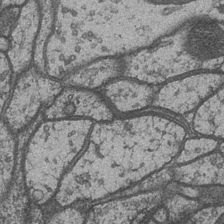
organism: Drosophila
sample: Optic medulla